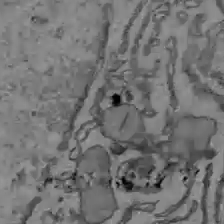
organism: C57BL Mouse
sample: Liver